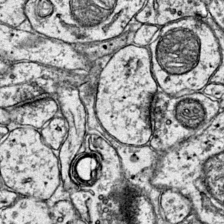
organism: Mouse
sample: Primary visual cortex